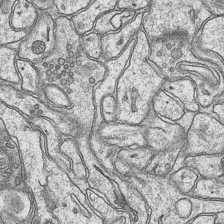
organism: Mouse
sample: CA1 Hippocampus